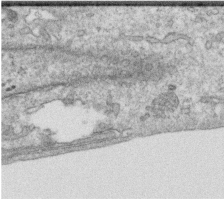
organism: Human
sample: Centriole in RPE cells